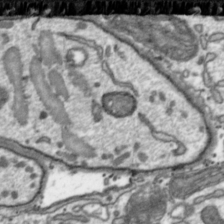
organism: Toxoplasma gondii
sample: Parasites in a vacuole inside a host cell